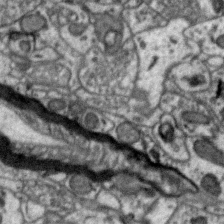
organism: Zebra finch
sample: Brain